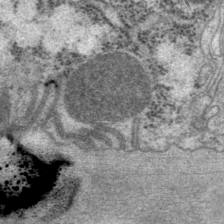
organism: P. pacificus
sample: Pharynx